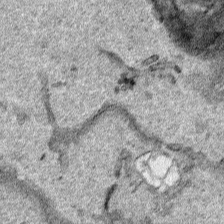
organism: Human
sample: Mitochondria in HCT116 cells